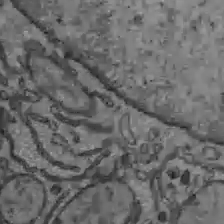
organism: C57BL Mouse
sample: Liver